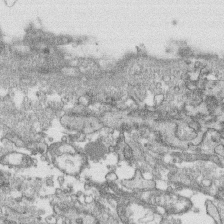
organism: Human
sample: CRL-1474